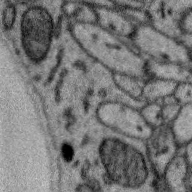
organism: Zebra finch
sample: Brain